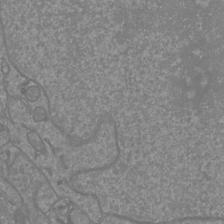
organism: Mouse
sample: Cortical neurons